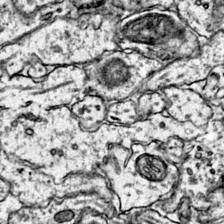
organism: Mouse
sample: Primary visual cortex